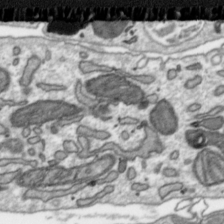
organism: Toxoplasma gondii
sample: Parasites in a vacuole inside a host cell